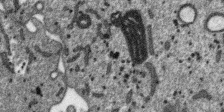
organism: Human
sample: Lung epithelial cells infected with SARS-CoV-2